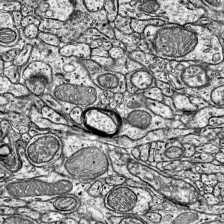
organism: Mouse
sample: Visual Cortex